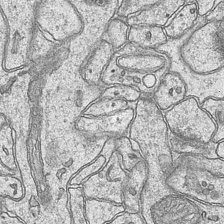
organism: Mouse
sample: CA1 Hippocampus